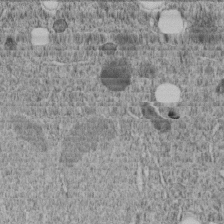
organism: C. elegans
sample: C. elegans embryo early stage